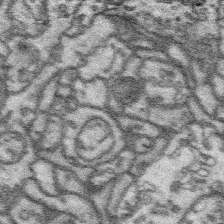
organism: Platynereis dumerilii